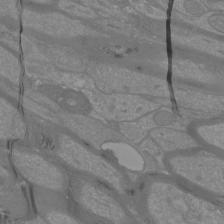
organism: Mouse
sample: Cortical neurons